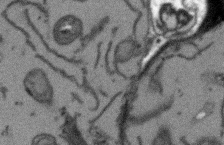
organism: Arabidopsis thaliana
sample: Root tip